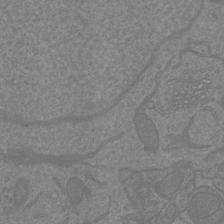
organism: Mouse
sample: Cortical neurons